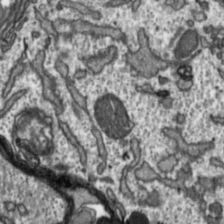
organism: Toxoplasma gondii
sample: Parasites in a vacuole inside a host cell